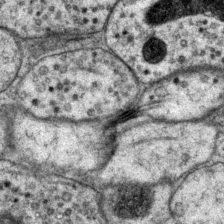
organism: P. pacificus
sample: Pharynx